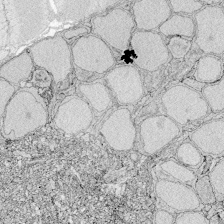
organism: Zebrafish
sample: Whole-Brain